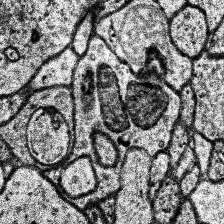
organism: Human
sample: Temporal Lobe